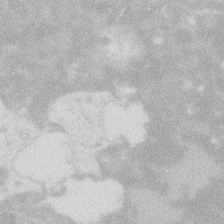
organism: Zebrafish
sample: Macrophage